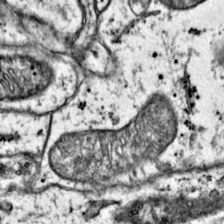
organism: Mouse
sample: Primary visual cortex